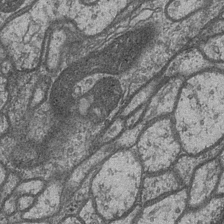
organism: Drosophila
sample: Optic medulla